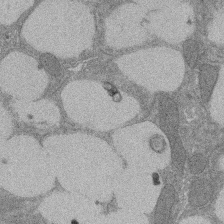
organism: Rat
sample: Salivary granule